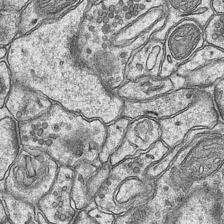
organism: Mouse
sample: CA1 Hippocampus